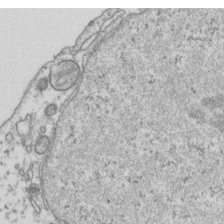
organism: Human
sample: Activated Jurkat CD4+ T cells